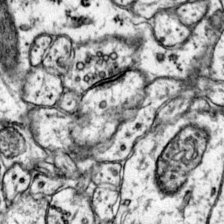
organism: Mouse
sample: Primary visual cortex